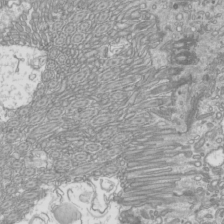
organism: Mouse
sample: Cilia; mouse epididymis